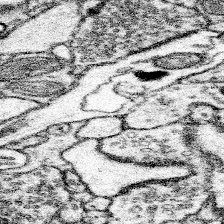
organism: Mouse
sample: Somatosensory cortex neuropil